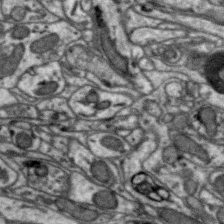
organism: Zebra finch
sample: Brain